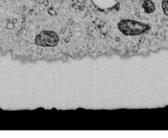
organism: C. elegans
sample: C. elegans embryo early stage